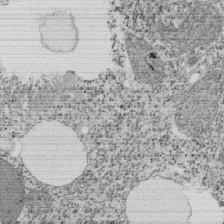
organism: Tetrahymena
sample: Cilia in tetrahymena